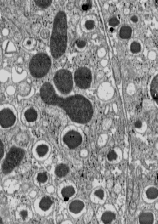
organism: C57BL Mouse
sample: Pancreatic islet